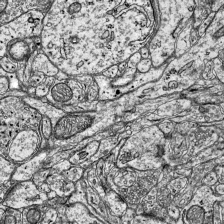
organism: Mouse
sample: Visual Cortex